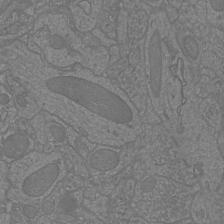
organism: Mouse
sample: Cortical neurons